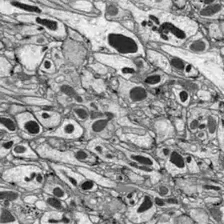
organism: Drosophila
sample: Optic lobe